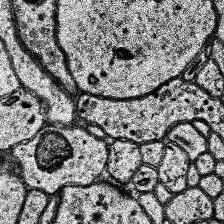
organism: Human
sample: Temporal Lobe